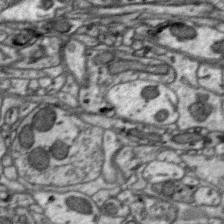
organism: Zebra finch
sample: Brain